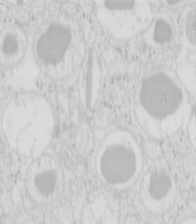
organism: Mouse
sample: Pancreas